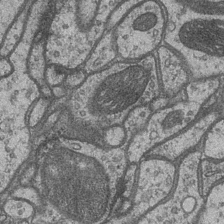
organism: Drosophila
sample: Optic medulla